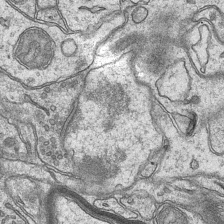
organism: Mouse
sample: CA1 Hippocampus